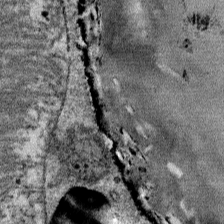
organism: Mouse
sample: Mouse Salivary gland